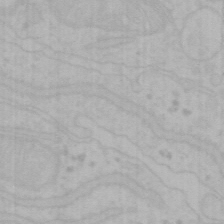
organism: Mouse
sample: Choroid plexus